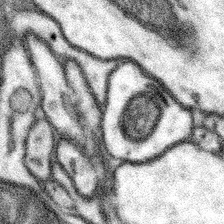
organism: Mouse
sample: Somatosensory cortex neuropil